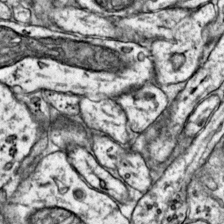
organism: Mouse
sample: Primary visual cortex